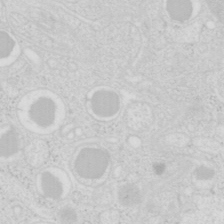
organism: Mouse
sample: Pancreas